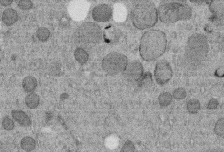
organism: C. elegans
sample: C. elegans embryo early stage